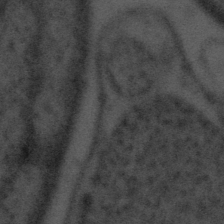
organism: Tuwongella immobilis